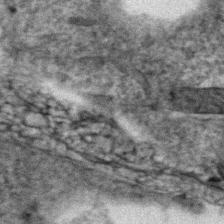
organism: Zebrafish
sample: Zebrafish embryo